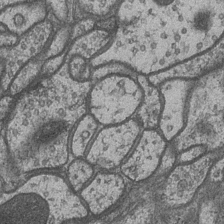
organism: Drosophila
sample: Optic medulla